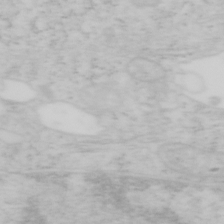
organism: Mouse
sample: OT-I killer T cells with ID8 ovarian cancer cells